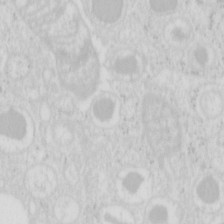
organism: Mouse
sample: Pancreas